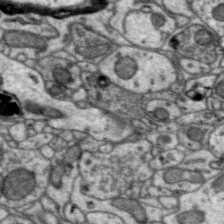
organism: Zebra finch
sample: Brain